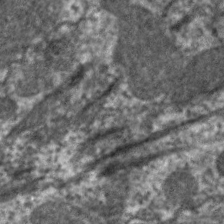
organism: C. elegans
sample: Pharynx